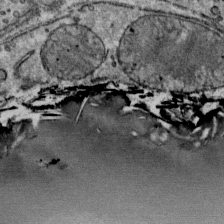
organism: Mouse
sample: Mouse Salivary gland